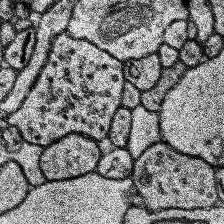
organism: Human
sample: Temporal Lobe